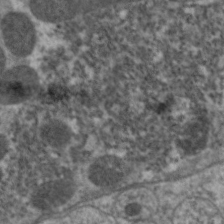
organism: C. elegans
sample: Pharynx